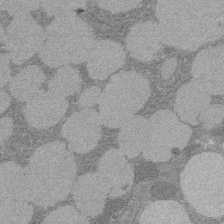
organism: Rat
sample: Salivary granule